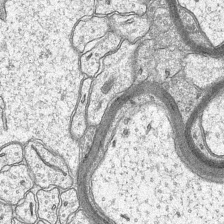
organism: Mouse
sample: CA1 Hippocampus